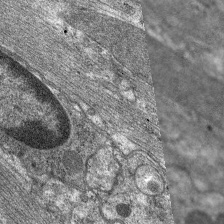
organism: C. elegans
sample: Pharynx